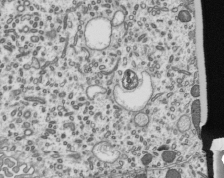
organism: Mouse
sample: Mouse epididymis efferent ductule cilia